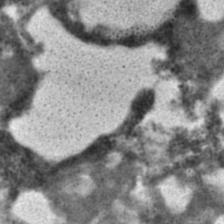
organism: C. elegans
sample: C. elegans embryo